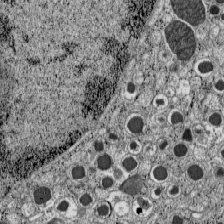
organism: C57BL Mouse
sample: Pancreatic islet